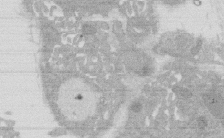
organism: Rat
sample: Salivary granule